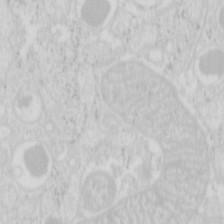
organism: Mouse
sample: Pancreas